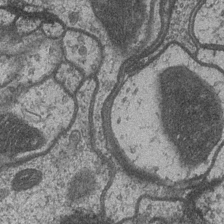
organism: Drosophila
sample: Optic medulla